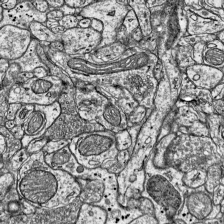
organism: Mouse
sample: Visual Cortex